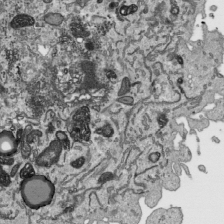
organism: Human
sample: Mitochondria in HCT116 cells